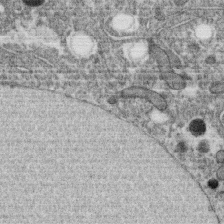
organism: C. elegans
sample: C. elegans oocyte; sperm cells